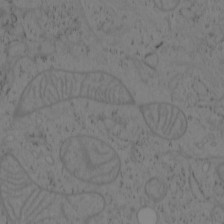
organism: Human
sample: HeLa cells